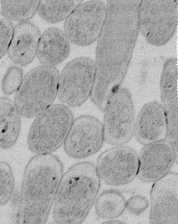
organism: E. coli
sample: Bacterial nucleoid